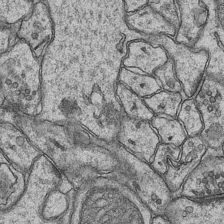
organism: Mouse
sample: CA1 Hippocampus